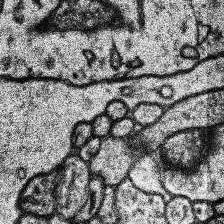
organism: Human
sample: Temporal Lobe